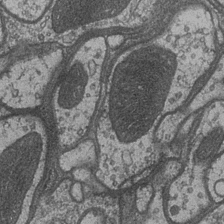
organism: Drosophila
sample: Optic medulla